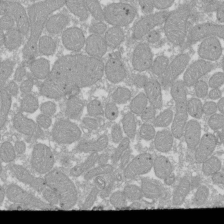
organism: Xenopus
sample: Cilia; centrioles in frog embryo cells